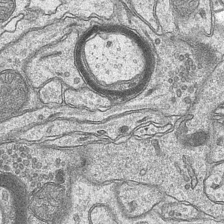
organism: Mouse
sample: CA1 Hippocampus